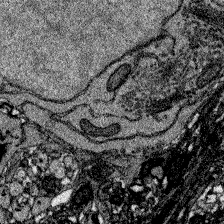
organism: Zebrafish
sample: Larval olfactory bulb